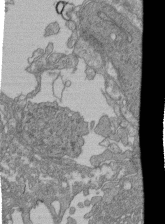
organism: Human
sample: Retinal organoid Rod and Cone cells